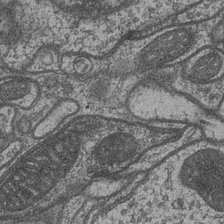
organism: Drosophila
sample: Optic medulla